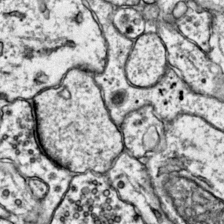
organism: Mouse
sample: Primary visual cortex